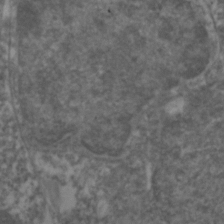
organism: Zebrafish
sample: Zebrafish embryo